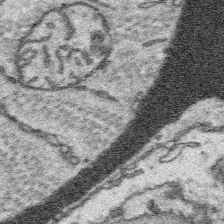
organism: Platynereis dumerilii